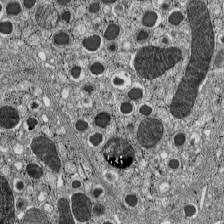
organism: C57BL Mouse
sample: Pancreatic islet